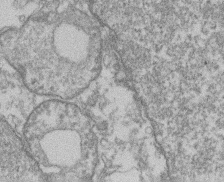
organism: Mouse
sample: T cell stromal cell synapse